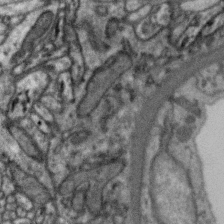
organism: Zebra finch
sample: Brain